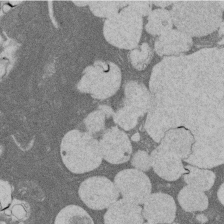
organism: Rat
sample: Salivary granule